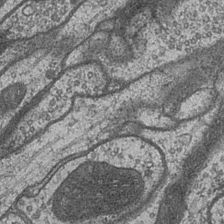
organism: Drosophila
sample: Optic medulla